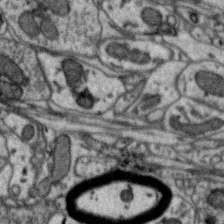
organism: Zebra finch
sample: Brain